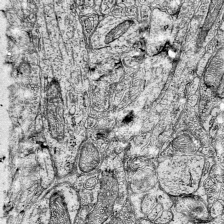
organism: Mouse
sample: Visual Cortex